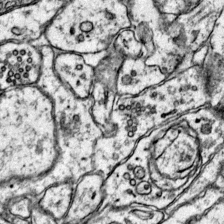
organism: Mouse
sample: Primary visual cortex